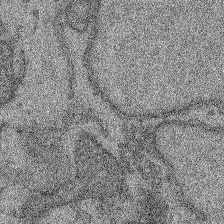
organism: Human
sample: HeLa cells